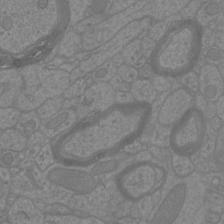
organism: Mouse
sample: Cortical neurons